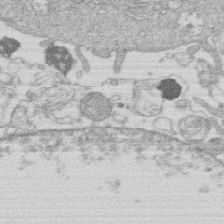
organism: Human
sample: Macrophage cells